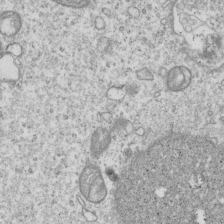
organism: Human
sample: MDA-MB-231 cells